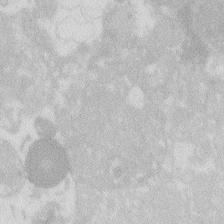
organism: Zebrafish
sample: Macrophage